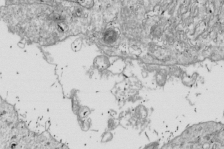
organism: Drosophila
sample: Cell division; meiosis; drosophila spermatocytes